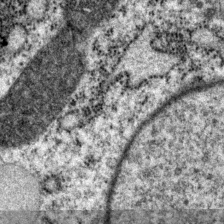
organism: P. pacificus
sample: Pharynx